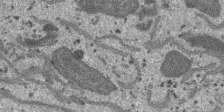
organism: Human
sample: Lung epithelial cells infected with SARS-CoV-2